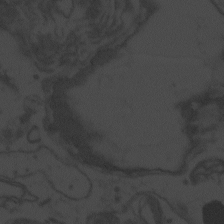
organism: Zebrafish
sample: Macrophage infected with Toxoplasma gondii